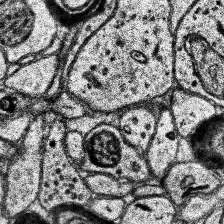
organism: Human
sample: Temporal Lobe